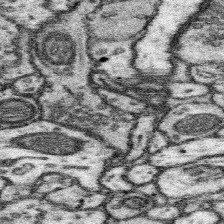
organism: Mouse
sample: Somatosensory cortex neuropil